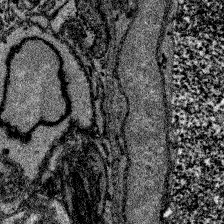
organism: Zebrafish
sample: Larval olfactory bulb